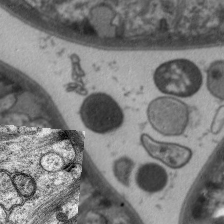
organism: C. elegans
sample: Pharynx